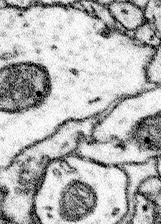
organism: Mouse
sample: Somatosensory cortex neuropil